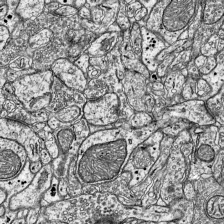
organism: Mouse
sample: Visual Cortex